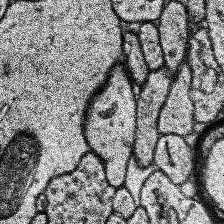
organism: Human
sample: Temporal Lobe